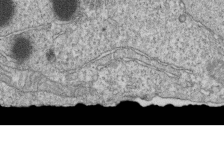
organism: Human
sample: HeLa cell HIV synapse